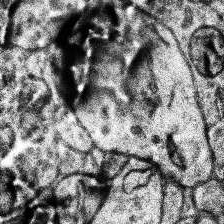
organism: Human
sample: Temporal Lobe